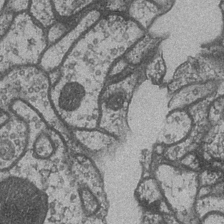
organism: Drosophila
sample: Optic medulla